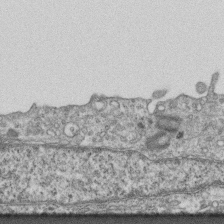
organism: Mouse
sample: Centriole in ependymal cells